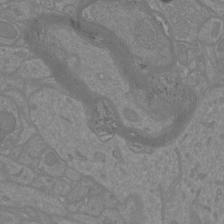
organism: Mouse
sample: Cortical neurons